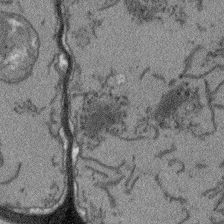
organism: Arabidopsis thaliana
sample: Root tip